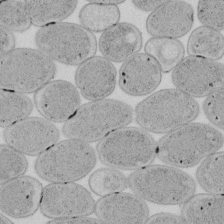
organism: E. coli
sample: Bacterial nucleoid